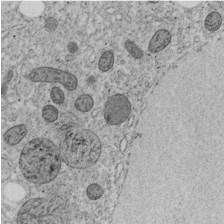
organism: C. elegans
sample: C. elegans embryo early stage